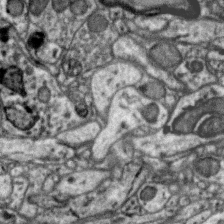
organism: Zebra finch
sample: Brain